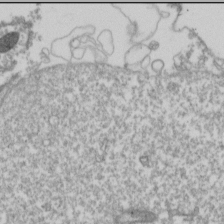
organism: Drosophila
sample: Cell division; meiosis; drosophila spermatocytes